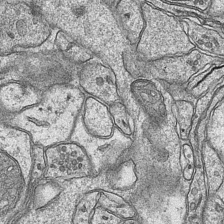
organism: Mouse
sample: CA1 Hippocampus